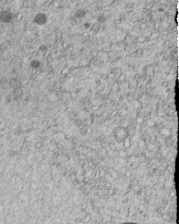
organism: C. elegans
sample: C. elegans embryo early stage